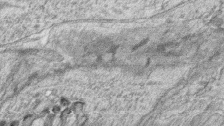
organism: Zebrafish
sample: synaptic ribbons in rod cells and cone cells